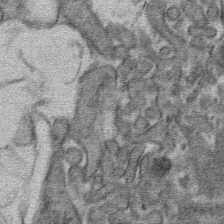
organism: Mouse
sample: Mouse hepatocytes